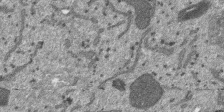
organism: Human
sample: Lung epithelial cells infected with SARS-CoV-2